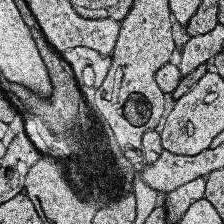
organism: Human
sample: Temporal Lobe